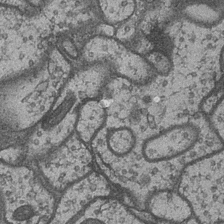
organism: Drosophila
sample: Optic medulla